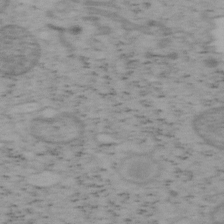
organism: Mouse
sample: OT-I killer T cells with ID8 ovarian cancer cells